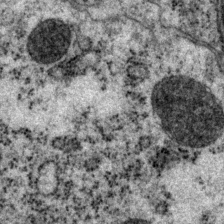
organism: P. pacificus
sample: Pharynx